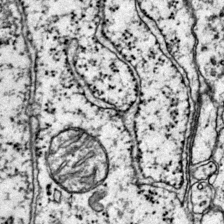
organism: Mouse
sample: Primary visual cortex